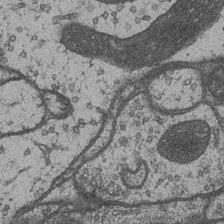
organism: Drosophila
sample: Optic medulla